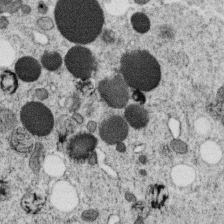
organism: C. elegans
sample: C. elegans oocyte; sperm cells